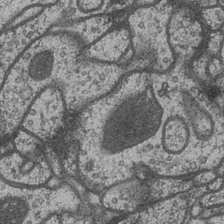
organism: Drosophila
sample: Optic medulla